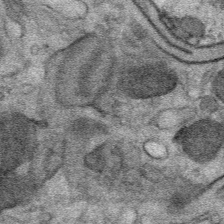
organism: Mouse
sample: Mouse Salivary gland